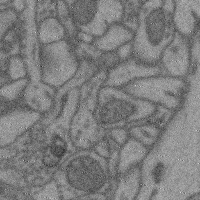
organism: Mouse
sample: Cerebral cortex